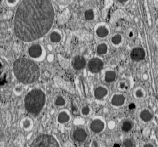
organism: C57BL Mouse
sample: Pancreatic islet